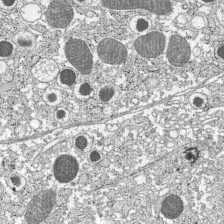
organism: C57BL Mouse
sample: Pancreatic islet